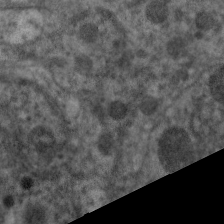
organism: C. elegans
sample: Pharynx